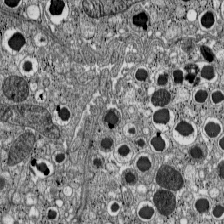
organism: C57BL Mouse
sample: Pancreatic islet